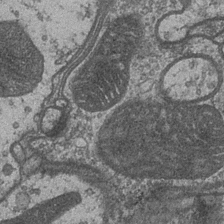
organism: Drosophila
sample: Optic medulla